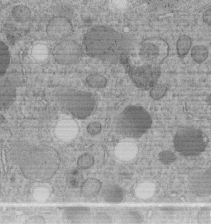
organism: C. elegans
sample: C. elegans embryo early stage